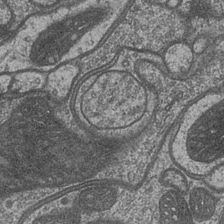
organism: Drosophila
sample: Optic medulla